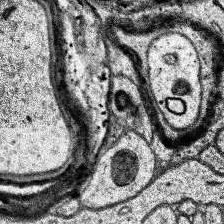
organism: Human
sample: Temporal Lobe